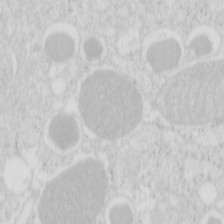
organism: Mouse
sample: Pancreas